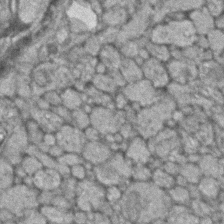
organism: Zebrafish